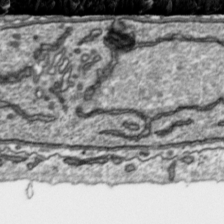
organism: Toxoplasma gondii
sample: Parasites in a vacuole inside a host cell